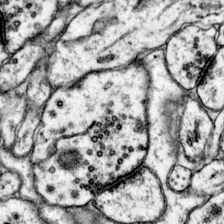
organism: Mouse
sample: Primary visual cortex